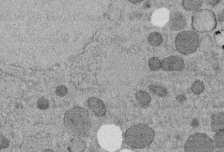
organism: C. elegans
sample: C. elegans embryo early stage